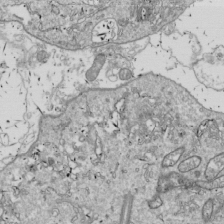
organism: Drosophila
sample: Cell division; meiosis; drosophila spermatocytes